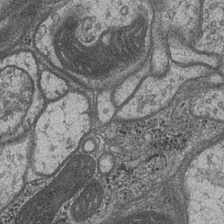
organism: Drosophila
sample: Optic medulla